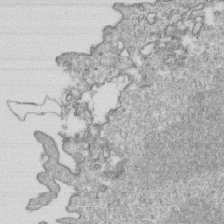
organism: Mouse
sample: Activated OT-1 CD8+ T cells